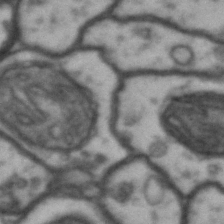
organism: Drosophila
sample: Brain